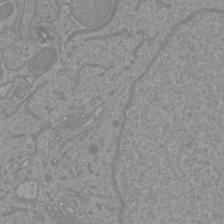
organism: Mouse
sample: Cortical neurons